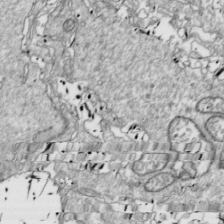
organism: Drosophila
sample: Cell division; meiosis; drosophila spermatocytes